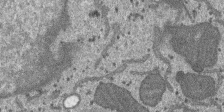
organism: Human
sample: Lung epithelial cells infected with SARS-CoV-2